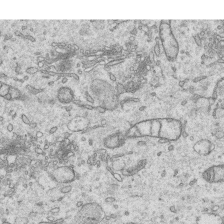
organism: Human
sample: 1205lu cells